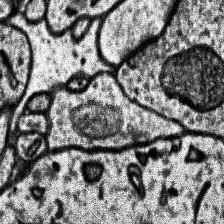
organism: Human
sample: Temporal Lobe